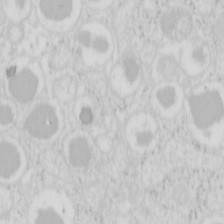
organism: Mouse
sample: Pancreas